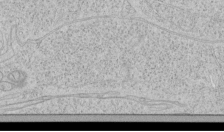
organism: Human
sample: Mitochondria in HCT116 cells